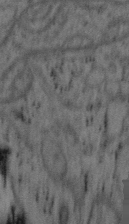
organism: Human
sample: HeLa cells